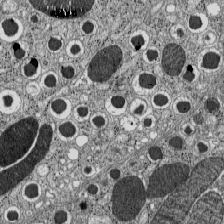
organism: C57BL Mouse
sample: Pancreatic islet